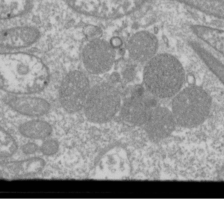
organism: Drosophila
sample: Cell division; meiosis; drosophila spermatocytes